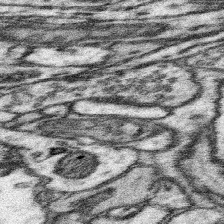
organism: Mouse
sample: Somatosensory cortex neuropil